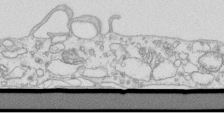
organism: Mouse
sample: Macrophages